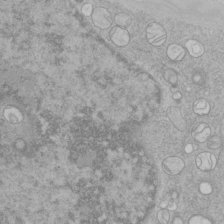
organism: Human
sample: Mitochondria in HCT116 cells